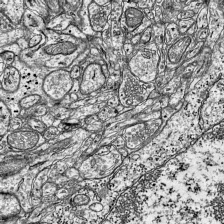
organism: Mouse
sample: Visual Cortex